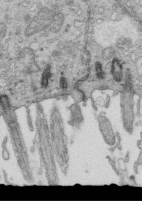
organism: Mouse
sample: Multiciliated cells